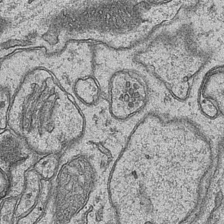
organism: Mouse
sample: CA1 Hippocampus